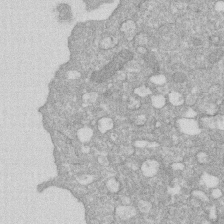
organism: Human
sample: HIV infected U937 cells